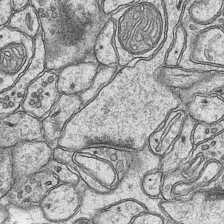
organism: Mouse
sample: CA1 Hippocampus